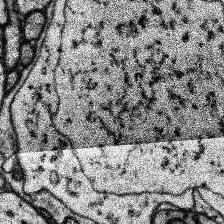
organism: Human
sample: Temporal Lobe